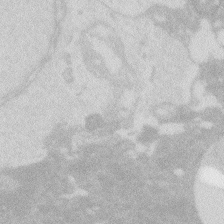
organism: Zebrafish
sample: Macrophage